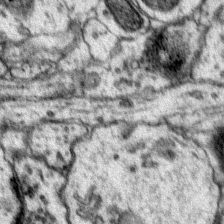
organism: Mouse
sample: Primary visual cortex